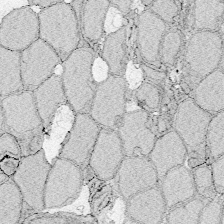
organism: Zebrafish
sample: Whole-Brain